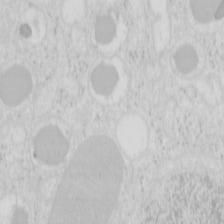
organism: Mouse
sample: Pancreas